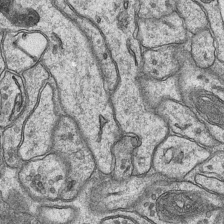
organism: Mouse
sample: CA1 Hippocampus